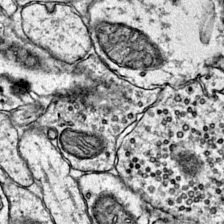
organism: Mouse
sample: Primary visual cortex